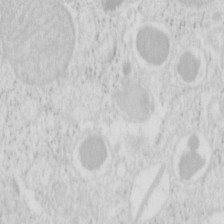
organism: Mouse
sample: Pancreas